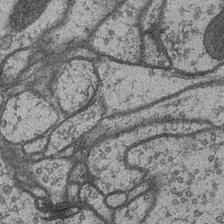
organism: Drosophila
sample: Optic medulla